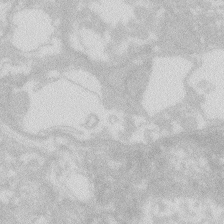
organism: Zebrafish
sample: Macrophage